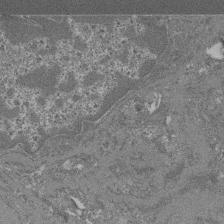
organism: Mouse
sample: Glomerulus